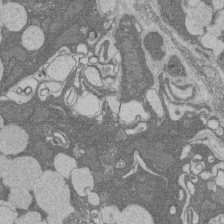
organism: Rat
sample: Salivary granule